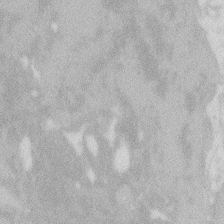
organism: Zebrafish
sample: Macrophage